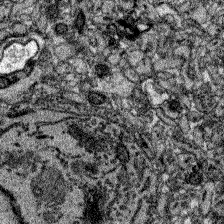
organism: Zebrafish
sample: Larval olfactory bulb